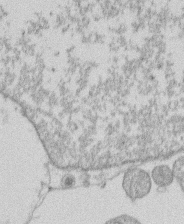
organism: Human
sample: Macrophage cells